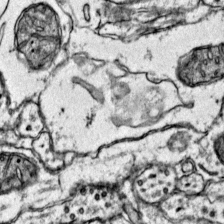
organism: Mouse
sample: Primary visual cortex